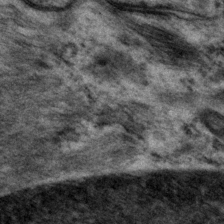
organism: P. pacificus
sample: Pharynx